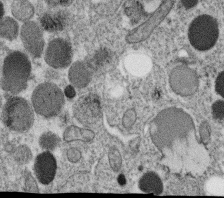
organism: C. elegans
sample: C. elegans oocyte; sperm cells